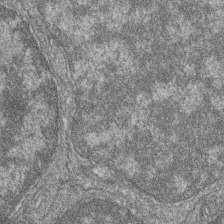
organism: Zebrafish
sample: Cilia; retinal pigment epithelium